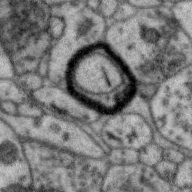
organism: Zebra finch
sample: Brain